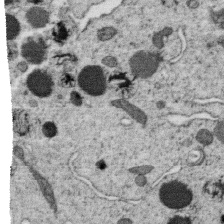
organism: C. elegans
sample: C. elegans oocyte; sperm cells